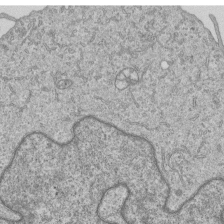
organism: Human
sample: MDA-MB-231 cells